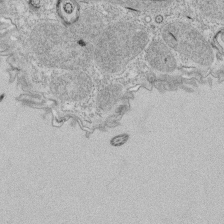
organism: Tetrahymena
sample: Cilia in tetrahymena